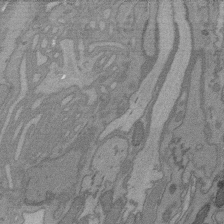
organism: C. elegans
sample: AFD neurons C. elegans